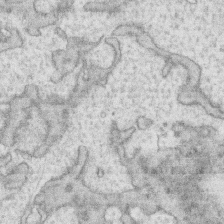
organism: Human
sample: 1205lu cells